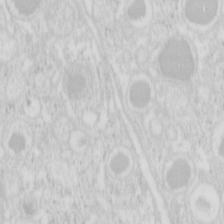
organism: Mouse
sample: Pancreas